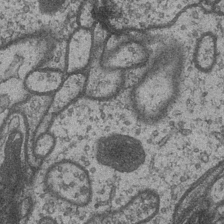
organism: Drosophila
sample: Optic medulla